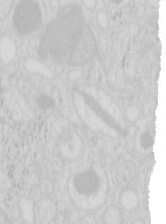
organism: Mouse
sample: Pancreas